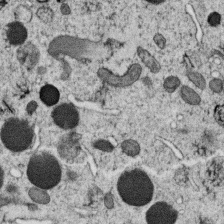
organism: C. elegans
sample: C. elegans oocyte; sperm cells